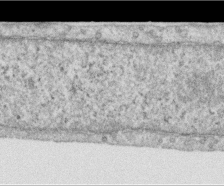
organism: Human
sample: Centriole in RPE cells